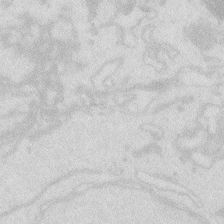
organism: Zebrafish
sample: Macrophage